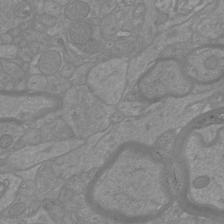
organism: Mouse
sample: Cortical neurons